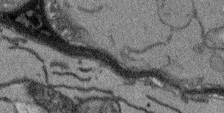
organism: Arabidopsis thaliana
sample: Root tip